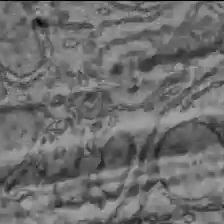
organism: C57BL Mouse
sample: Liver